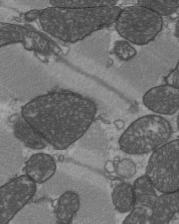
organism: C57BL Mouse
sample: Heart